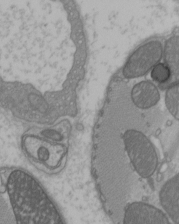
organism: C57BL Mouse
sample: Heart